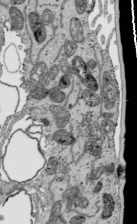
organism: Human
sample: Mitochondria in HCT116 cells